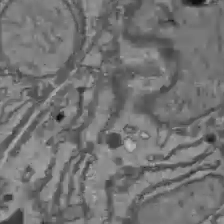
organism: C57BL Mouse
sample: Liver